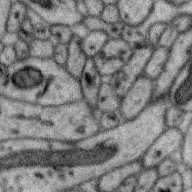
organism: Zebra finch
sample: Brain